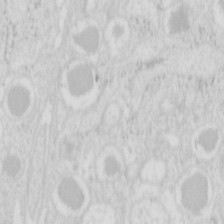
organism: Mouse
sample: Pancreas